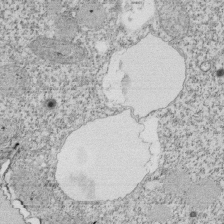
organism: Tetrahymena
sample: Cilia in tetrahymena